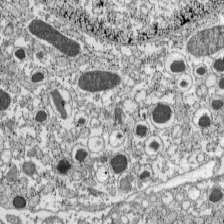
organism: C57BL Mouse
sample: Pancreatic islet